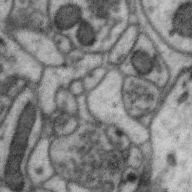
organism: Zebra finch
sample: Brain